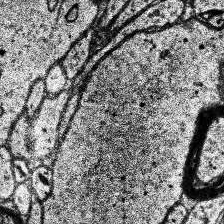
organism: Human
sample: Temporal Lobe